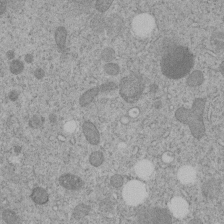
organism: C. elegans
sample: C. elegans embryo early stage